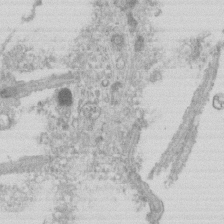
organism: Mouse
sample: Centriole in ependymal cells